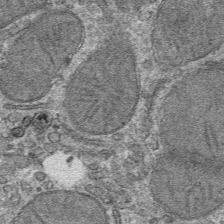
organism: Mouse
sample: Mouse hepatocytes